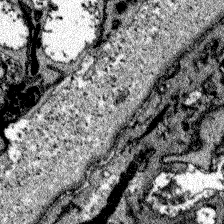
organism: Zebrafish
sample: Larval olfactory bulb